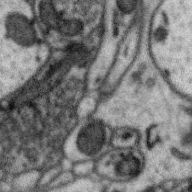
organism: Zebra finch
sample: Brain